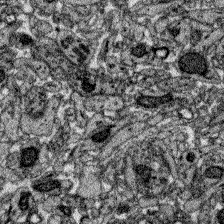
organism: Zebrafish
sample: Larval olfactory bulb